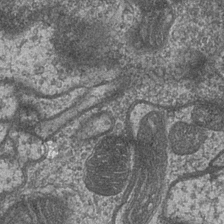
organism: Drosophila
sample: Optic medulla